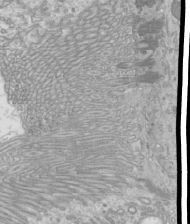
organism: Mouse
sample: Cilia; mouse epididymis